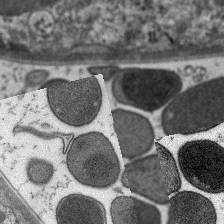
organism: C. elegans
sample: Pharynx